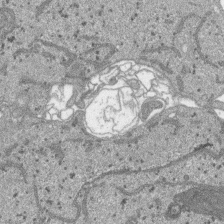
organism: Human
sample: Lung epithelial cells infected with SARS-CoV-2